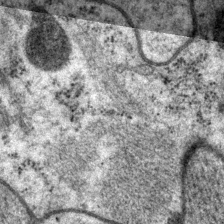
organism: P. pacificus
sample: Pharynx